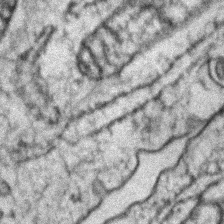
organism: Zebrafish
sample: Zebrafish embryo